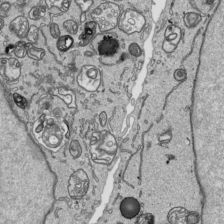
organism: Human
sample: Mitochondria in HCT116 cells